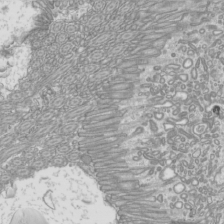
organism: Mouse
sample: Cilia; mouse epididymis